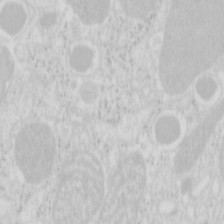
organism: Mouse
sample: Pancreas